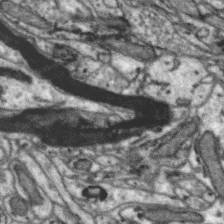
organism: Zebra finch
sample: Brain